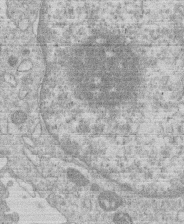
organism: Human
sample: Macrophage cells